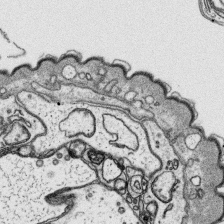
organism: Platynereis dumerilii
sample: Parapodia